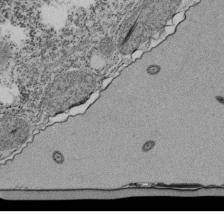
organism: Tetrahymena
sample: Cilia in tetrahymena